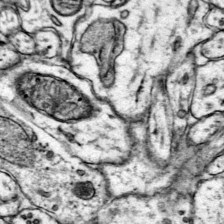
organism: Mouse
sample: Primary visual cortex